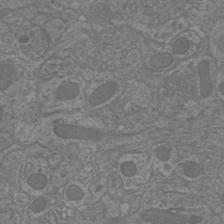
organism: Mouse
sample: Cortical neurons